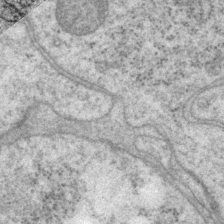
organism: P. pacificus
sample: Pharynx